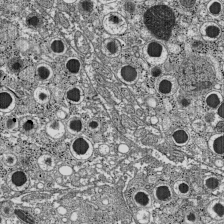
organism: C57BL Mouse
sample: Pancreatic islet